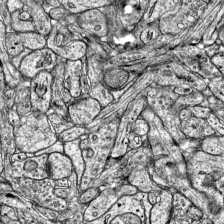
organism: Mouse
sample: Visual Cortex